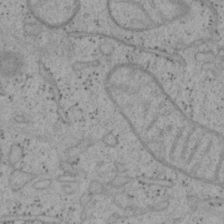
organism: Human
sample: HeLa cells